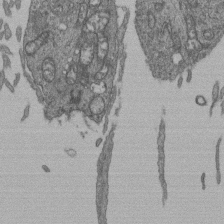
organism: Human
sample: Retinal organoid Rod and Cone cells